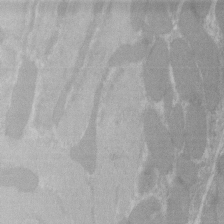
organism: C57BL Mouse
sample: Tibialis anterior muscle cell